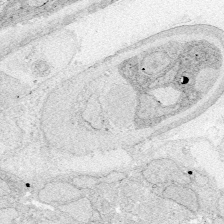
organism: Zebrafish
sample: Whole-Brain